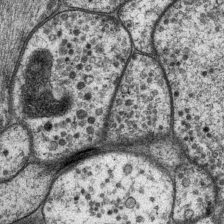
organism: P. pacificus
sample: Pharynx